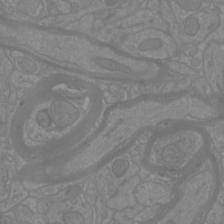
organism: Mouse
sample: Cortical neurons